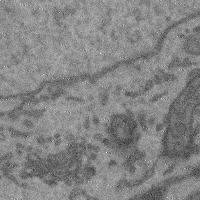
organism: Mouse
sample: Cerebral cortex